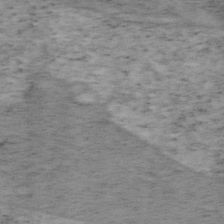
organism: Mouse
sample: OT-I killer T cells with ID8 ovarian cancer cells